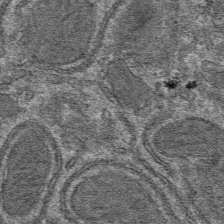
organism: Mouse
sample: Mouse hepatocytes